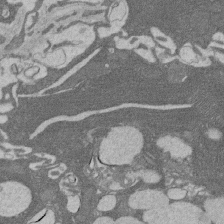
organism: Rat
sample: Salivary granule